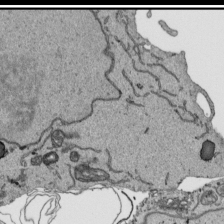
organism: Human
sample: Mitochondria in HCT116 cells